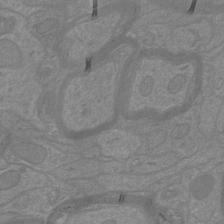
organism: Mouse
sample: Cortical neurons